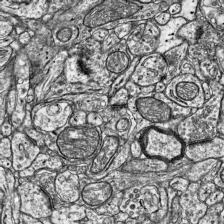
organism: Mouse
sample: Visual Cortex